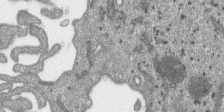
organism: Human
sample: Lung epithelial cells infected with SARS-CoV-2